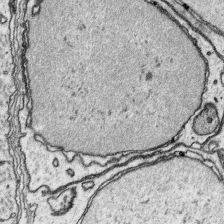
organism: Platynereis dumerilii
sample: Parapodia